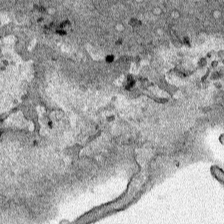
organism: Human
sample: Mitochondria in HCT116 cells